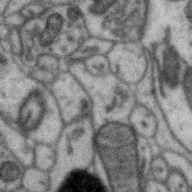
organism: Zebra finch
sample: Brain